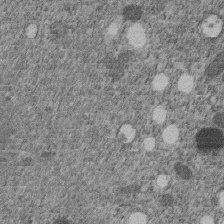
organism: C. elegans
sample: C. elegans embryo early stage